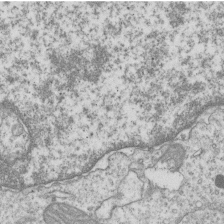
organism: Human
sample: MDA-MB-231 cells